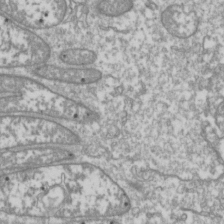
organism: Drosophila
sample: Cell division; meiosis; drosophila spermatocytes